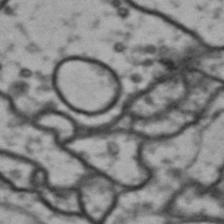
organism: Drosophila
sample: Brain